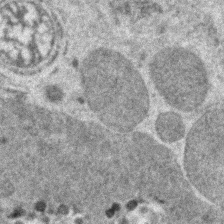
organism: Zebrafish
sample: Zebrafish embryo